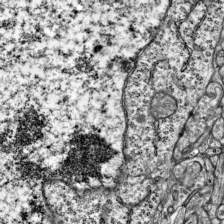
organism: Mouse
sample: Visual Cortex